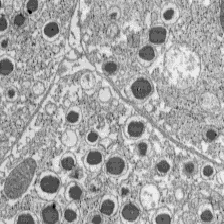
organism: C57BL Mouse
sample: Pancreatic islet